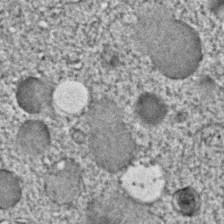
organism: C. elegans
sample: C. elegans embryo